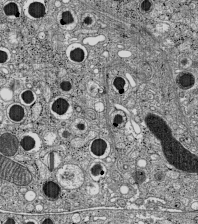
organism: C57BL Mouse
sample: Pancreatic islet